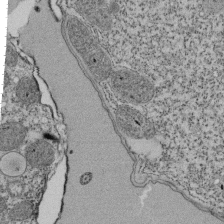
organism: Tetrahymena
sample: Cilia in tetrahymena